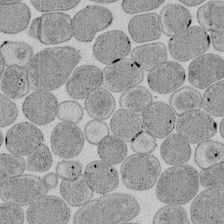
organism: E. coli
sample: Bacterial nucleoid